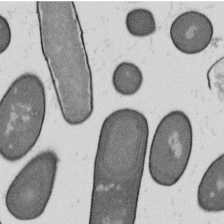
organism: B. subtilis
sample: Bacterial spore